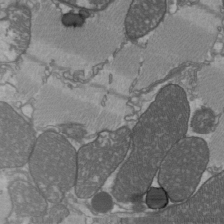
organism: C57BL Mouse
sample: Heart